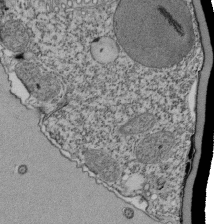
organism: Tetrahymena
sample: Cilia in tetrahymena